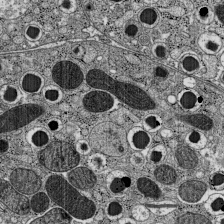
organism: C57BL Mouse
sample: Pancreatic islet